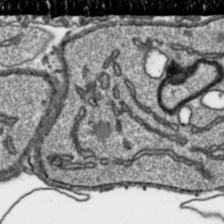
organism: Toxoplasma gondii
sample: Parasites in a vacuole inside a host cell